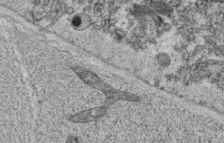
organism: C. elegans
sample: C. elegans oocyte; sperm cells